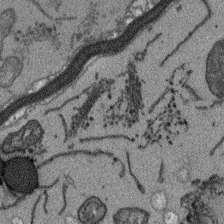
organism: Arabidopsis thaliana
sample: Root tip